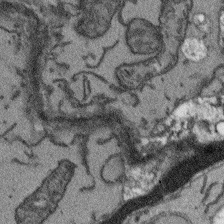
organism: Arabidopsis thaliana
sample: Root tip